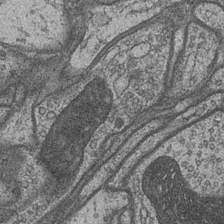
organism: Drosophila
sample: Optic medulla